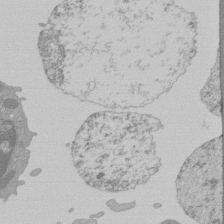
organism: Mouse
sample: Activated Pmel transgenic CD8+ T Cells